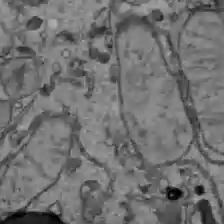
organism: C57BL Mouse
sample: Liver